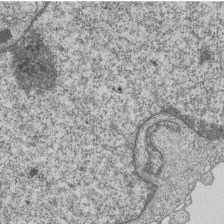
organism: Human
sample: MDA-MB-231 cells